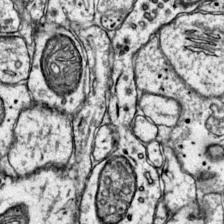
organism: Mouse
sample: Primary visual cortex